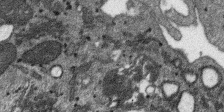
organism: Human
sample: Lung epithelial cells infected with SARS-CoV-2